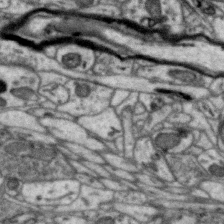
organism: Zebra finch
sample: Brain